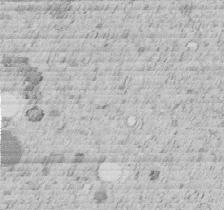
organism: C. elegans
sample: C. elegans embryo early stage